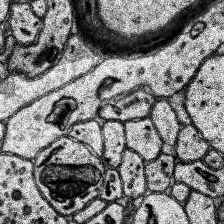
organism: Human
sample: Temporal Lobe